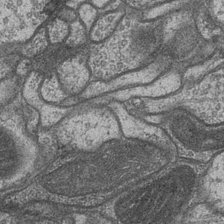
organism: Drosophila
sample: Optic medulla